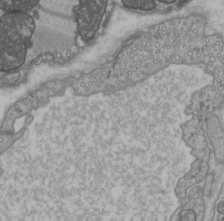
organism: C57BL Mouse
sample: Heart